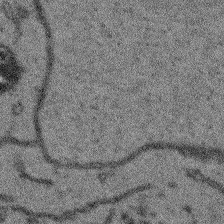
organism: Arabidopsis thaliana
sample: Root tip